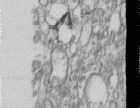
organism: Human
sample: Centriole in RPE cells